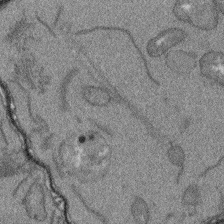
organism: Arabidopsis thaliana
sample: Root tip